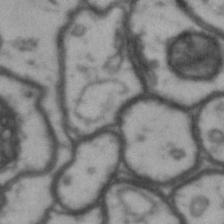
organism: Drosophila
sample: Brain